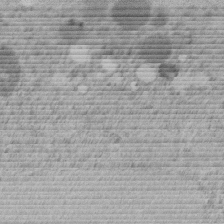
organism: C. elegans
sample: C. elegans embryo early stage